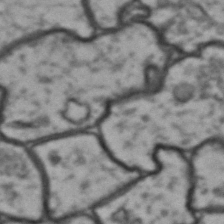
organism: Drosophila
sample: Brain